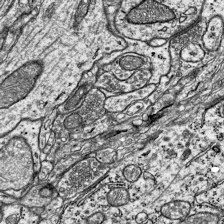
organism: Mouse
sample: Visual Cortex